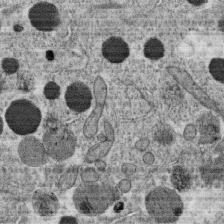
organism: C. elegans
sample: C. elegans oocyte; sperm cells